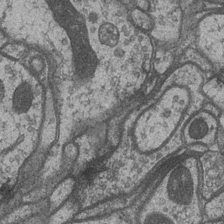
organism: Drosophila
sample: Optic medulla